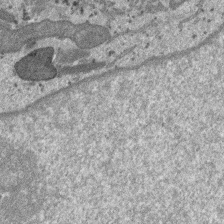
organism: Human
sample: Lung epithelial cells infected with SARS-CoV-2